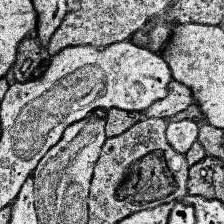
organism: Human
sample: Temporal Lobe